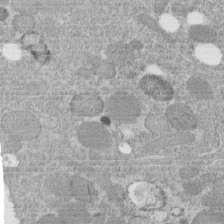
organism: C. elegans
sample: C. elegans embryo early stage